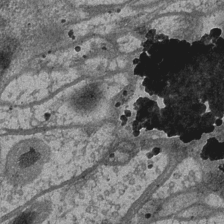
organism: Drosophila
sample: Optic medulla